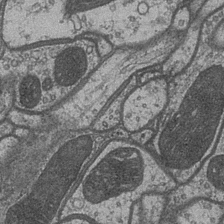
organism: Drosophila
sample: Optic medulla